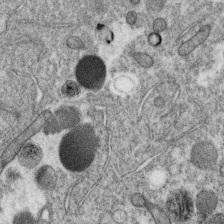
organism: C. elegans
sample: C. elegans oocyte; sperm cells